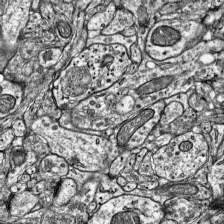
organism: Mouse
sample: Visual Cortex